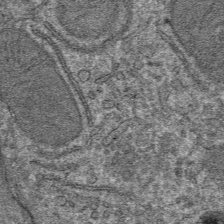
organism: Mouse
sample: Mouse hepatocytes